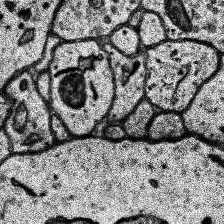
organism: Human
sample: Temporal Lobe